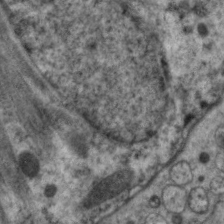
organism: C. elegans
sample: Pharynx